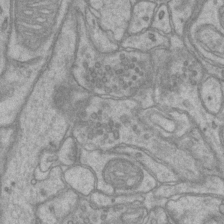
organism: Mouse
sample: CA1 Hippocampus